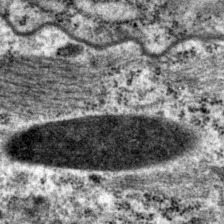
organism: P. pacificus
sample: Pharynx